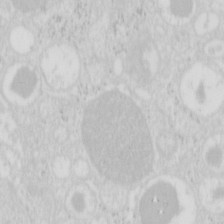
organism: Mouse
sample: Pancreas